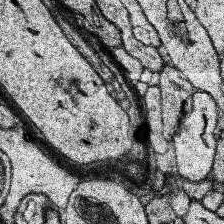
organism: Human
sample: Temporal Lobe